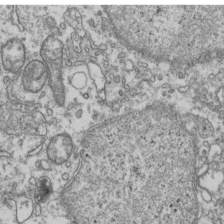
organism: Human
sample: Activated Jurkat CD4+ T cells